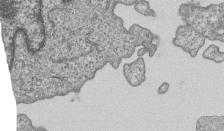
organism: Human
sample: MDA-MB-231 cells